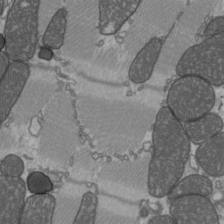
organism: C57BL Mouse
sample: Heart